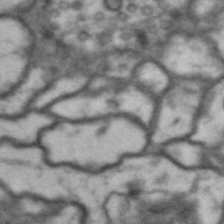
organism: Drosophila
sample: Brain